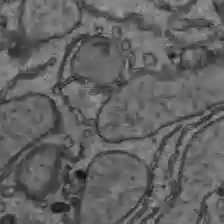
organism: C57BL Mouse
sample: Liver